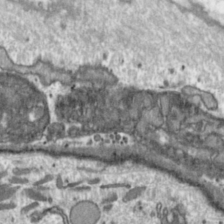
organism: Toxoplasma gondii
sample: Parasites in a vacuole inside a host cell